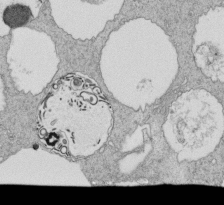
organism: Tetrahymena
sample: Cilia in tetrahymena